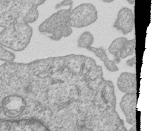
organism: Human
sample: MDA-MB-231 cells